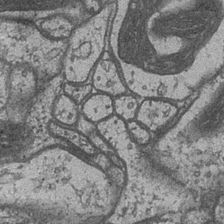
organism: Drosophila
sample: Optic medulla